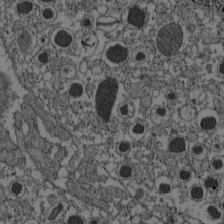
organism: C57BL Mouse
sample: Pancreatic islet